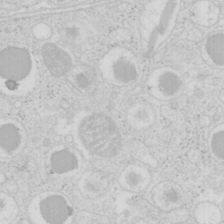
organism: Mouse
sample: Pancreas